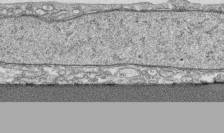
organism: Human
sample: CRL-1474